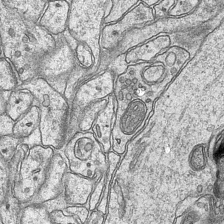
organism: Mouse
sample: CA1 Hippocampus